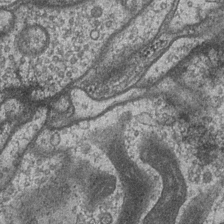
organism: Drosophila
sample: Optic medulla